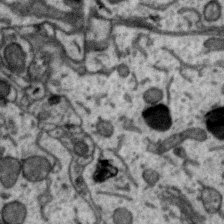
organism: Zebra finch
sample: Brain